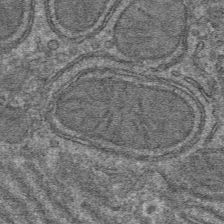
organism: Mouse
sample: Mouse hepatocytes